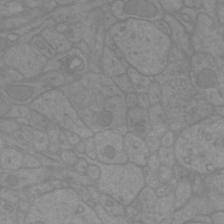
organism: Mouse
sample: Cortical neurons